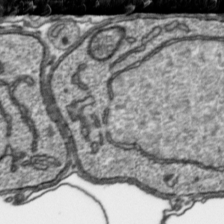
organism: Toxoplasma gondii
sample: Parasites in a vacuole inside a host cell